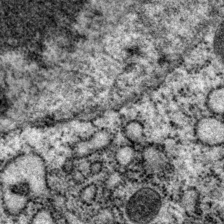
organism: P. pacificus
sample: Pharynx